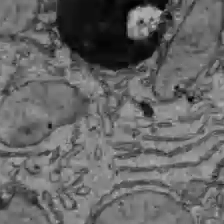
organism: C57BL Mouse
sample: Liver